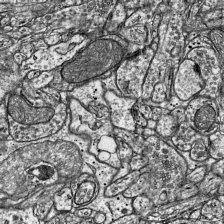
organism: Mouse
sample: Visual Cortex